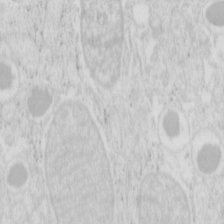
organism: Mouse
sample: Pancreas